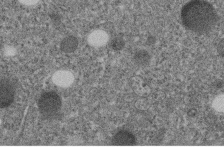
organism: C. elegans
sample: C. elegans embryo early stage